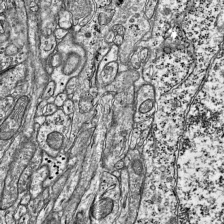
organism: Mouse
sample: Visual Cortex